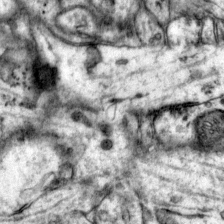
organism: Mouse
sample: Primary visual cortex